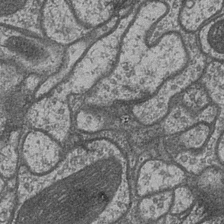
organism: Drosophila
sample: Optic medulla